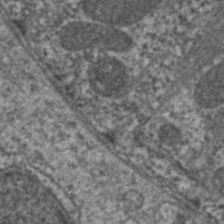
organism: C. elegans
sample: Pharynx